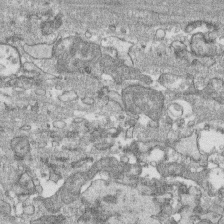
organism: Human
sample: CRL-1474